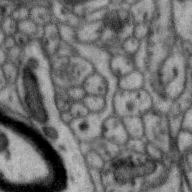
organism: Zebra finch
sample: Brain